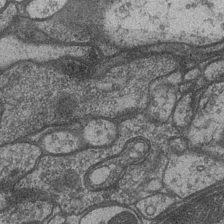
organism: Drosophila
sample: Optic medulla